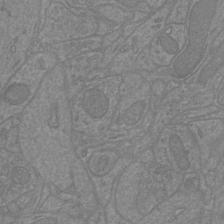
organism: Mouse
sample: Cortical neurons